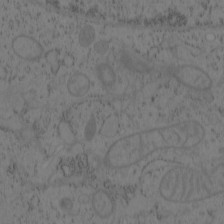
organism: Human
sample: HeLa cells